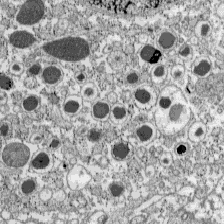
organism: C57BL Mouse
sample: Pancreatic islet